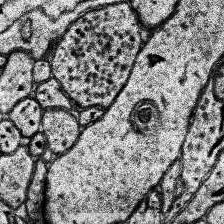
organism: Human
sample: Temporal Lobe